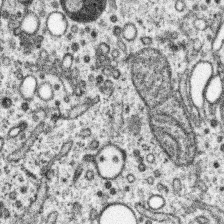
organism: Human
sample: HeLa cells